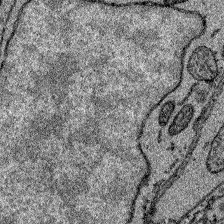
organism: Zebrafish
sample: Larval olfactory bulb